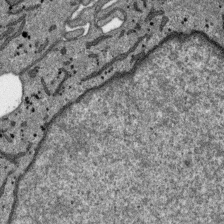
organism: Human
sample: Lung epithelial cells, uninfected (mock) control